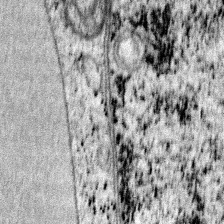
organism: Human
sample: HeLa cells